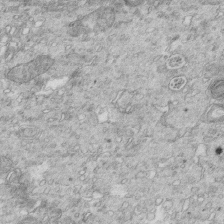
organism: Mouse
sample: Multiciliated cells